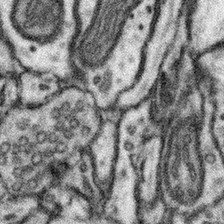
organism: Mouse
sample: Somatosensory cortex neuropil